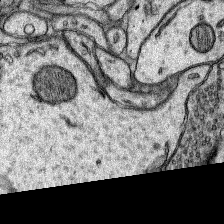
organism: Rat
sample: Hippocampus